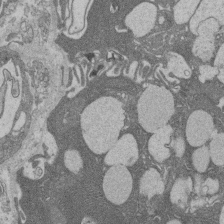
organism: Rat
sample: Salivary granule